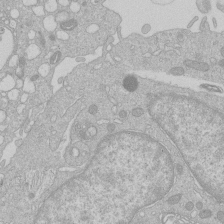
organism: Human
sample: Macrophage cells